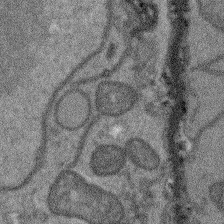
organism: Arabidopsis thaliana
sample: Root tip